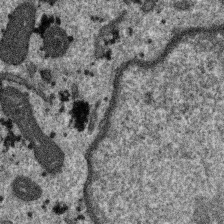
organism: Human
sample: Lung epithelial cells infected with SARS-CoV-2